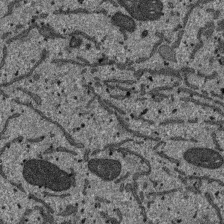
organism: Human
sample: Lung epithelial cells infected with SARS-CoV-2